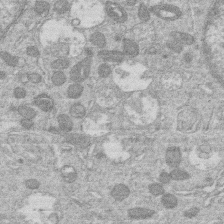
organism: Human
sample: Macrophage cells